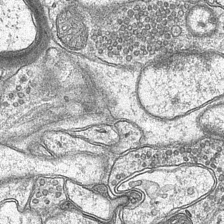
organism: Mouse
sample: CA1 Hippocampus